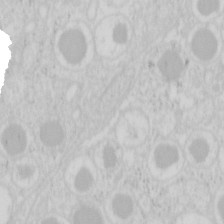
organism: Mouse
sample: Pancreas